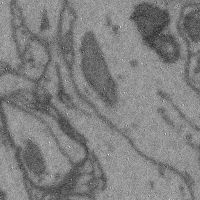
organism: Mouse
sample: Cerebral cortex